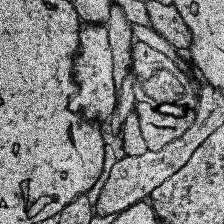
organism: Human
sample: Temporal Lobe